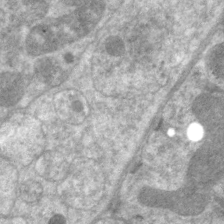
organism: C. elegans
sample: Pharynx